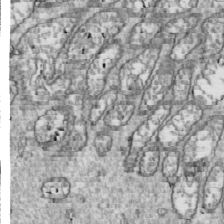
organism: Drosophila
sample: Cell division; meiosis; drosophila spermatocytes